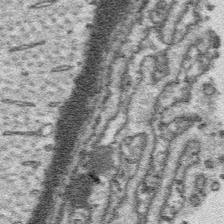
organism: Platynereis dumerilii